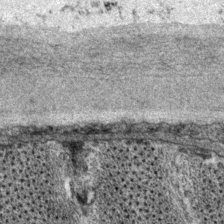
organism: P. pacificus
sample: Pharynx